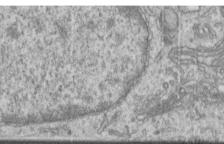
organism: Human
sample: Centriole in RPE cells